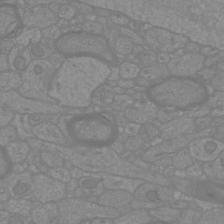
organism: Mouse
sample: Cortical neurons